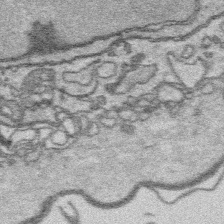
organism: Platynereis dumerilii